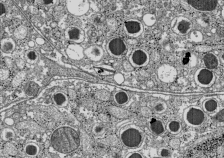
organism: C57BL Mouse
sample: Pancreatic islet